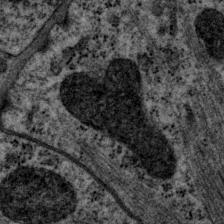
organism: P. pacificus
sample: Pharynx